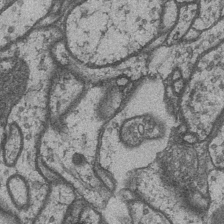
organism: Drosophila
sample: Optic medulla